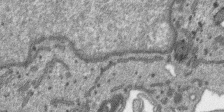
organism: Human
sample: Lung epithelial cells infected with SARS-CoV-2